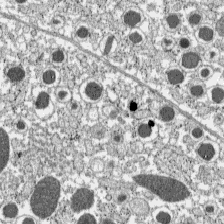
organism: C57BL Mouse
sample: Pancreatic islet